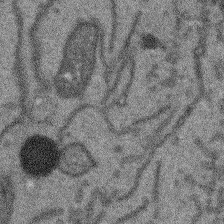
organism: Arabidopsis thaliana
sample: Root tip